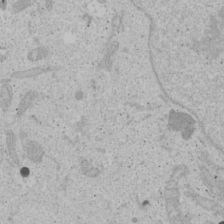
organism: Human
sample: Mitochondria in U2OS cells